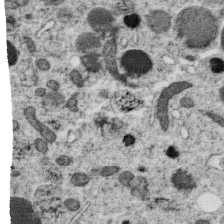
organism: C. elegans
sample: C. elegans oocyte; sperm cells